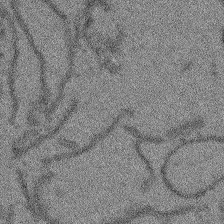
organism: Arabidopsis thaliana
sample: Root tip